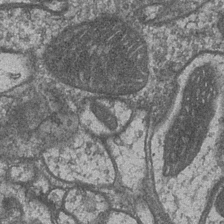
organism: Drosophila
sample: Optic medulla